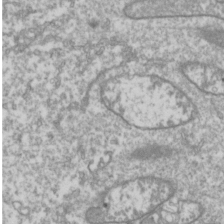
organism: Drosophila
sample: Cell division; meiosis; drosophila spermatocytes